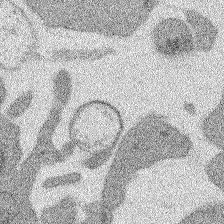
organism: Human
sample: HeLa cells